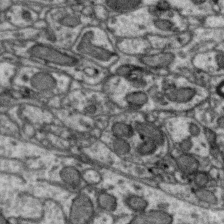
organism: Zebra finch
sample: Brain